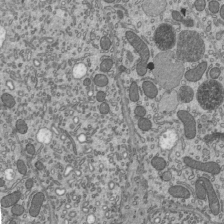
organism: Mouse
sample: Mouse epididymis efferent ductule cilia